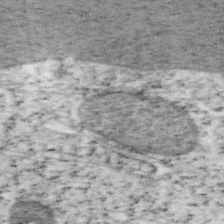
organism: Mouse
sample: OT-I killer T cells with ID8 ovarian cancer cells